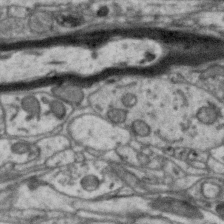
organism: Zebra finch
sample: Brain